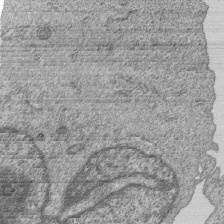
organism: Human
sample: MDA-MB-231 cells